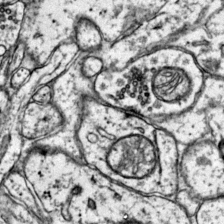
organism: Mouse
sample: Primary visual cortex